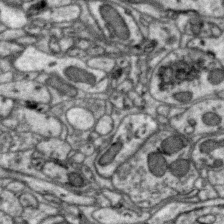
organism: Zebra finch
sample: Brain